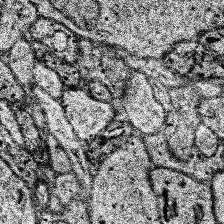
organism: Human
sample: Temporal Lobe